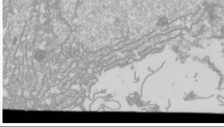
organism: Drosophila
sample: Cell division; meiosis; drosophila spermatocytes